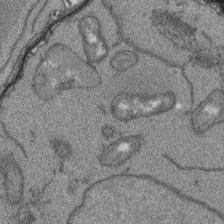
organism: Arabidopsis thaliana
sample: Root tip